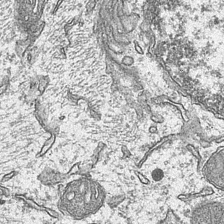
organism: Mouse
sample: CA1 Hippocampus